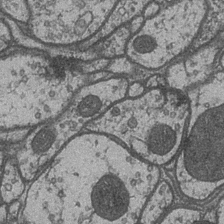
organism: Drosophila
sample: Optic medulla